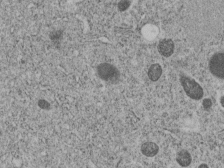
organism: C. elegans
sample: C. elegans embryo early stage